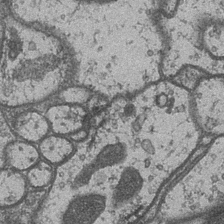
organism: Drosophila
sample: Optic medulla